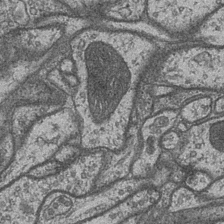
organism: Drosophila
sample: Optic medulla